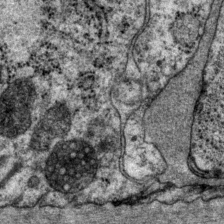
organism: P. pacificus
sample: Pharynx